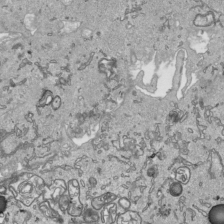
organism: Human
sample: Mitochondria in HCT116 cells